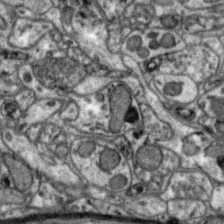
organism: Zebra finch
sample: Brain